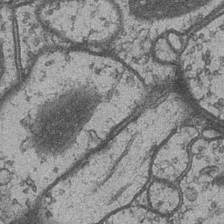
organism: Drosophila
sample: Optic medulla